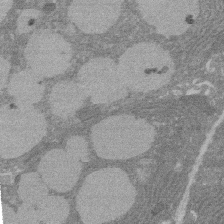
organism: Rat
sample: Salivary granule